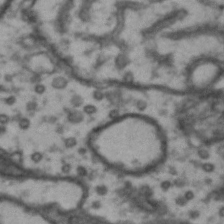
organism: Drosophila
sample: Brain